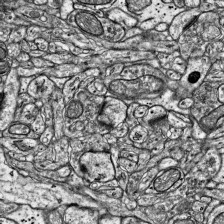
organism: Mouse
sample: Visual Cortex